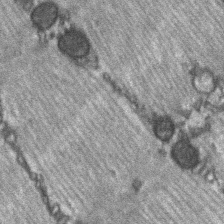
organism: C57BL Mouse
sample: Soleus